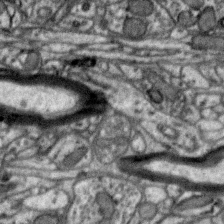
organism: Zebra finch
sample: Brain